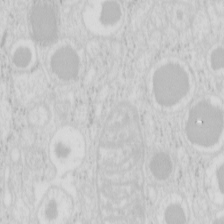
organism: Mouse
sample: Pancreas